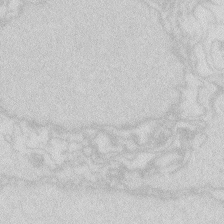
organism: Zebrafish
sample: Macrophage